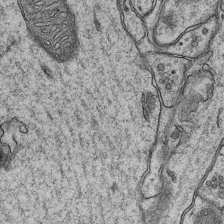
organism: Mouse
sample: CA1 Hippocampus